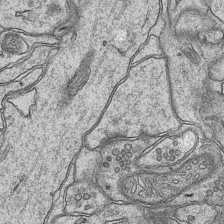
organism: Mouse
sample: CA1 Hippocampus